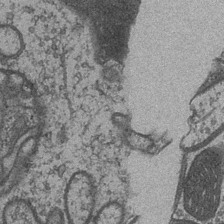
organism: Drosophila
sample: Optic medulla